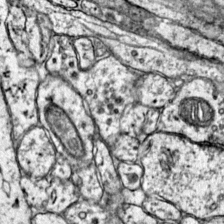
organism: Mouse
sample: Primary visual cortex